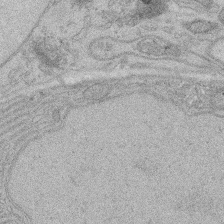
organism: Rat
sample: Salivary granule